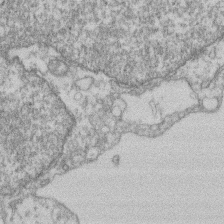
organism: Mouse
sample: T cell stromal cell synapse